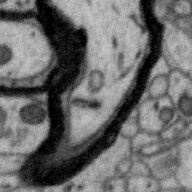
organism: Zebra finch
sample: Brain